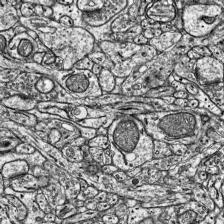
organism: Mouse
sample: Visual Cortex